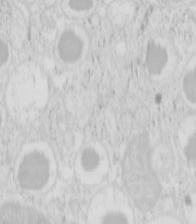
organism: Mouse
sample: Pancreas